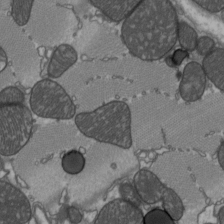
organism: C57BL Mouse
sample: Heart